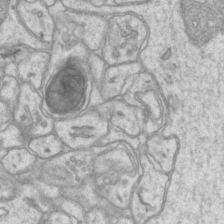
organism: Mouse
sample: CA1 Hippocampus